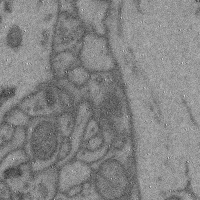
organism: Mouse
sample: Cerebral cortex